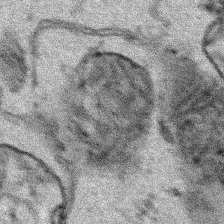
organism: Human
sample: Mitochondria in HCT116 cells